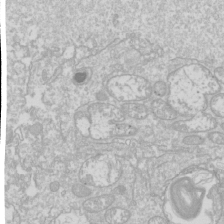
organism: Drosophila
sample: Cell division; meiosis; drosophila spermatocytes